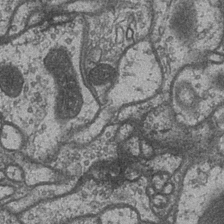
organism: Drosophila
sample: Optic medulla